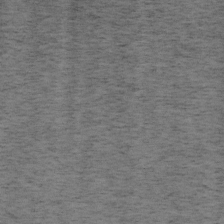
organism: Mouse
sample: OT-I killer T cells with ID8 ovarian cancer cells